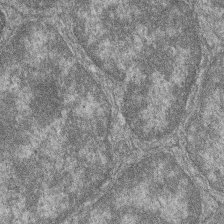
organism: Zebrafish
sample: Cilia; retinal pigment epithelium